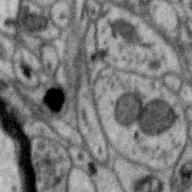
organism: Zebra finch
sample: Brain